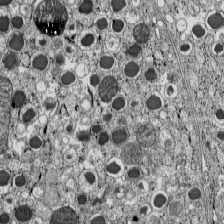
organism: C57BL Mouse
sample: Pancreatic islet